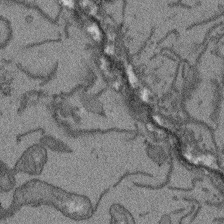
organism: Arabidopsis thaliana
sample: Root tip